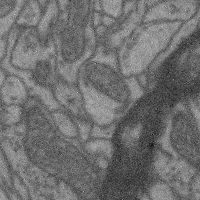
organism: Mouse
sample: Cerebral cortex